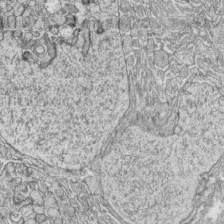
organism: Zebrafish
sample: synaptic ribbons in rod cells and cone cells